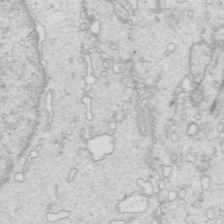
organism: Mouse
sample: Multiciliated cells